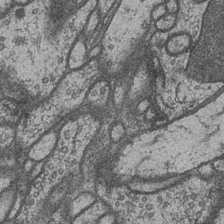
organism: Drosophila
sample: Optic medulla